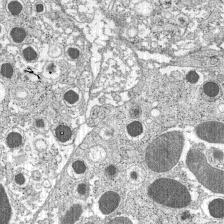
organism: C57BL Mouse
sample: Pancreatic islet